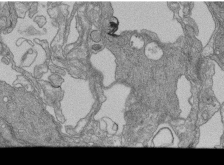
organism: Human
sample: Retinal organoid Rod and Cone cells